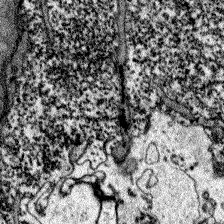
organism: Zebrafish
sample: Larval olfactory bulb